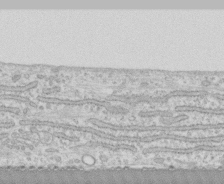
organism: Human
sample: CRL-1474